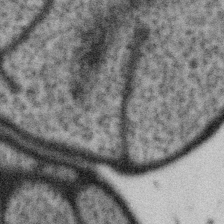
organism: Gemmata obscuriglobus